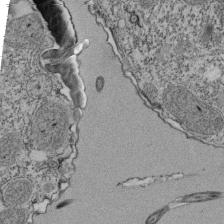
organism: Tetrahymena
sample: Cilia in tetrahymena